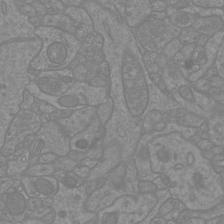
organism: Mouse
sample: Cortical neurons